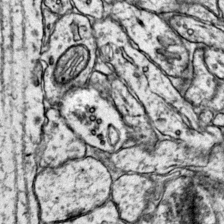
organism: Mouse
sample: Primary visual cortex